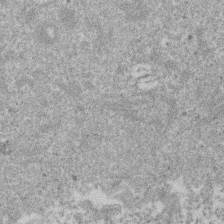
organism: Mouse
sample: Dividing mouse embryo 1 cell stage